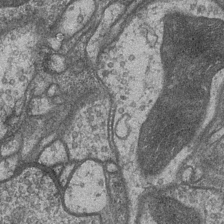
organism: Drosophila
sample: Optic medulla